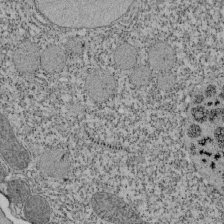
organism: Tetrahymena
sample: Cilia in tetrahymena